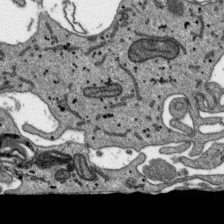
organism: Human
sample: Lung epithelial cells, uninfected (mock) control